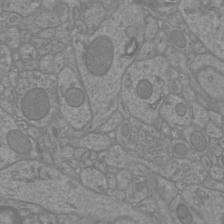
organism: Mouse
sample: Cortical neurons